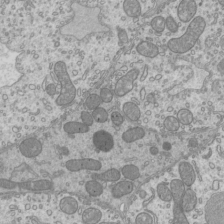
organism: Mouse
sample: Cilia; mouse epididymis